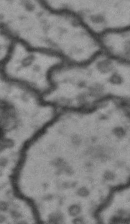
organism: Drosophila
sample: Brain